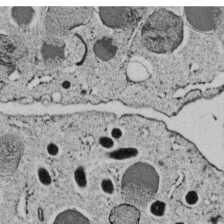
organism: C. elegans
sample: C. elegans embryo early stage